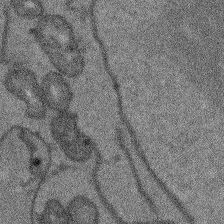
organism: Arabidopsis thaliana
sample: Root tip